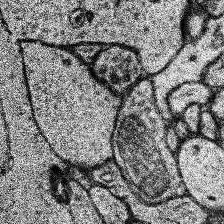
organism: Human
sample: Temporal Lobe